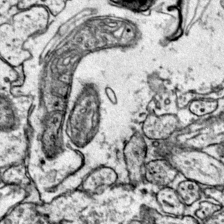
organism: Mouse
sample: Primary visual cortex